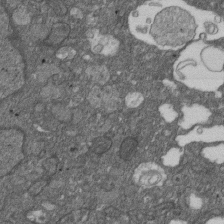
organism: Drosophila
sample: Nephrocyte